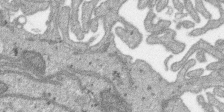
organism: Human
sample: Lung epithelial cells infected with SARS-CoV-2